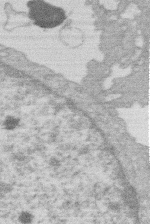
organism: Human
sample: Macrophage cells